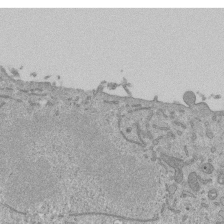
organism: Mouse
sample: ED-1 cell nuclei; centrioles